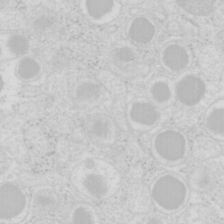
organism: Mouse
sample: Pancreas